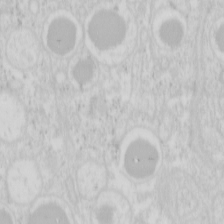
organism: Mouse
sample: Pancreas